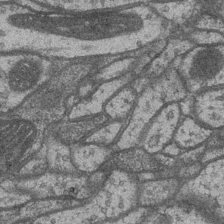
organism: Drosophila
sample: Optic medulla